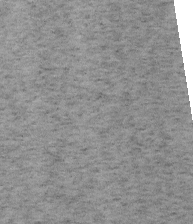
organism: Mouse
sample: OT-I killer T cells with ID8 ovarian cancer cells